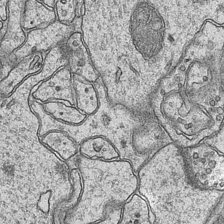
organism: Mouse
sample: CA1 Hippocampus